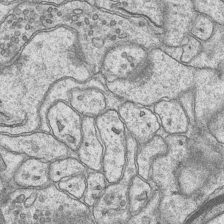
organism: Mouse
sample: CA1 Hippocampus